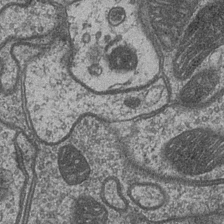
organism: Drosophila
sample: Optic medulla